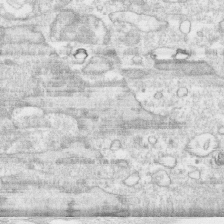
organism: Human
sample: CRL-1474